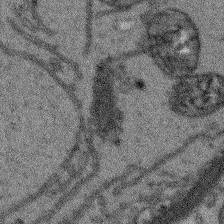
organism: Arabidopsis thaliana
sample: Root tip